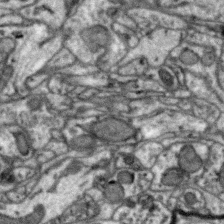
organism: Zebra finch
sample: Brain